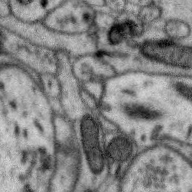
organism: Zebra finch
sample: Brain